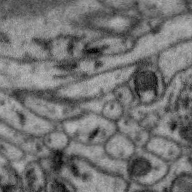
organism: Zebra finch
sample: Brain